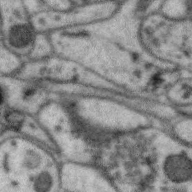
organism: Zebra finch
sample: Brain